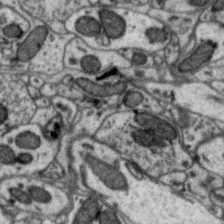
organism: Zebra finch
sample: Brain